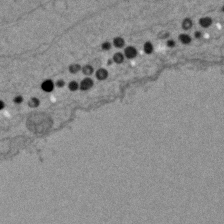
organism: Zebrafish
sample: Zebrafish embryo